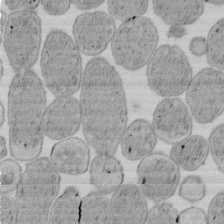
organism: E. coli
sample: Bacterial nucleoid